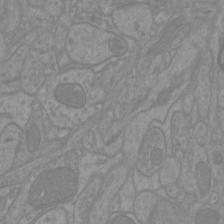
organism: Mouse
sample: Cortical neurons